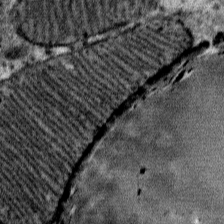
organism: Mouse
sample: Mouse Salivary gland